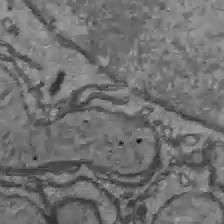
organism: C57BL Mouse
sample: Liver